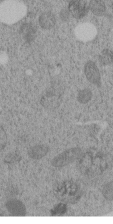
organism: C. elegans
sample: C. elegans embryo early stage